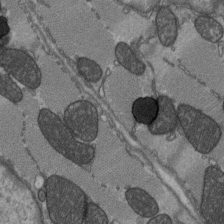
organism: C57BL Mouse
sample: Heart